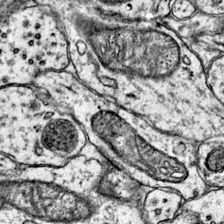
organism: Mouse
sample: Primary visual cortex